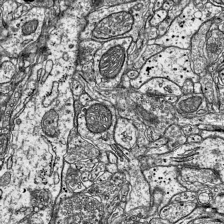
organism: Mouse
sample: Visual Cortex